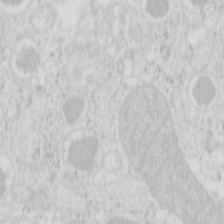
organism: Mouse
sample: Pancreas